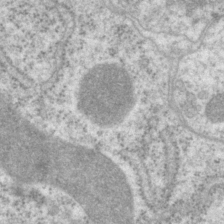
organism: P. pacificus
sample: Pharynx